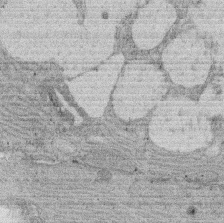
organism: Rat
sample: Salivary granule